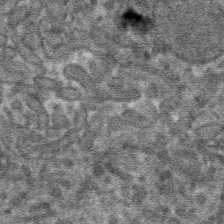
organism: Mouse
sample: Mouse hepatocytes